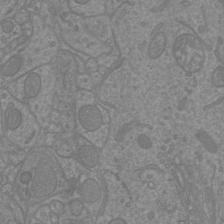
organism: Mouse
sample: Cortical neurons